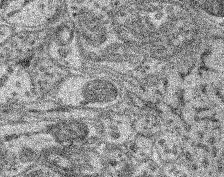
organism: Mouse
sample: Retina